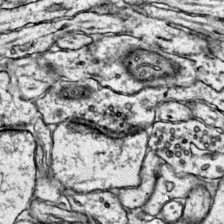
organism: Mouse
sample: Primary visual cortex